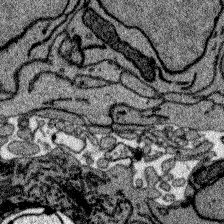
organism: Zebrafish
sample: Larval olfactory bulb